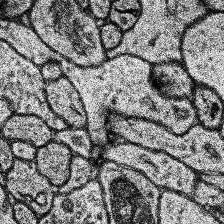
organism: Human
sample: Temporal Lobe